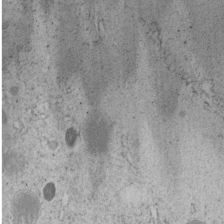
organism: C. elegans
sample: C. elegans embryo early stage